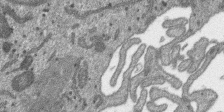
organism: Human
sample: Lung epithelial cells infected with SARS-CoV-2